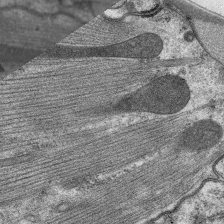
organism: C. elegans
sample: Pharynx